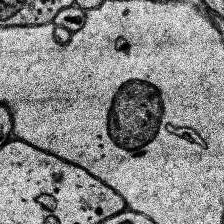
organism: Human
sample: Temporal Lobe